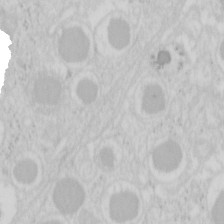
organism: Mouse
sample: Pancreas